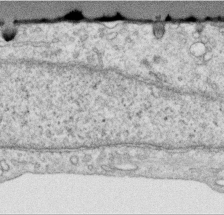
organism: Human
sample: Centriole in RPE cells